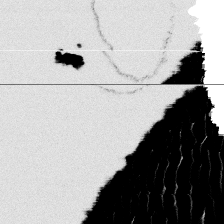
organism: Platynereis dumerilii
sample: Parapodia